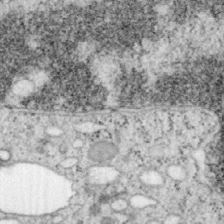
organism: Mouse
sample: OT-I killer T cells with ID8 ovarian cancer cells